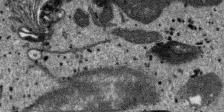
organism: Human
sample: Lung epithelial cells, uninfected (mock) control